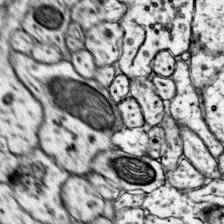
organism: Mouse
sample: Primary visual cortex